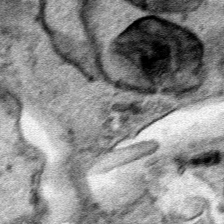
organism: Human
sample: Mitochondria in HCT116 cells